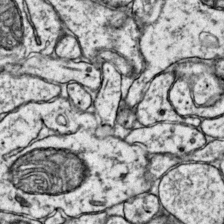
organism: Mouse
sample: Primary visual cortex